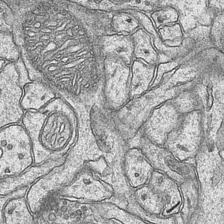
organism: Mouse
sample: CA1 Hippocampus